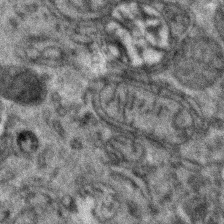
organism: Zebrafish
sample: Zebrafish embryo